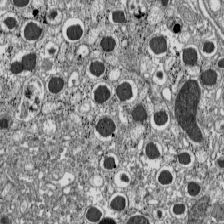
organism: C57BL Mouse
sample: Pancreatic islet